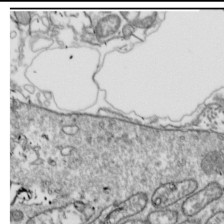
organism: Drosophila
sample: Cell division; meiosis; drosophila spermatocytes